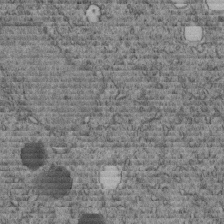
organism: C. elegans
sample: C. elegans embryo early stage